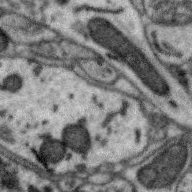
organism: Zebra finch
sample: Brain